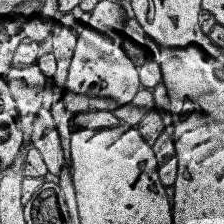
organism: Human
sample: Temporal Lobe